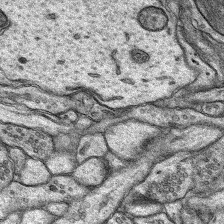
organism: Rat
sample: Hippocampus